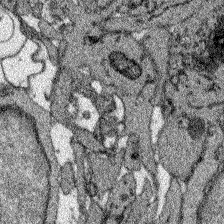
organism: Zebrafish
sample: Larval olfactory bulb